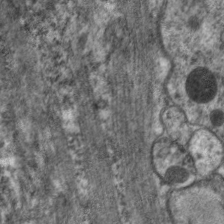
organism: C. elegans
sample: Pharynx